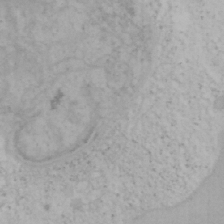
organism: Mouse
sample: OT-I killer T cells with ID8 ovarian cancer cells